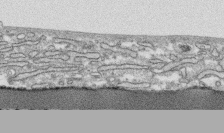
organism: Human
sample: CRL-1474